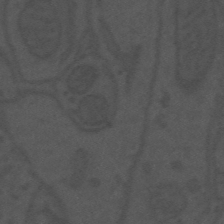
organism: Mouse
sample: Suprachiasmatic nucleus